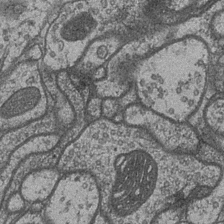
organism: Drosophila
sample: Optic medulla